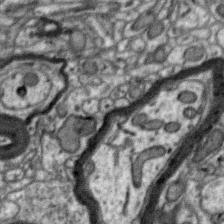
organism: Zebra finch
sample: Brain